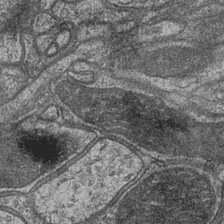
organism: Drosophila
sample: Optic medulla